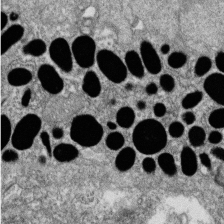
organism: Zebrafish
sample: Cilia; retinal pigment epithelium